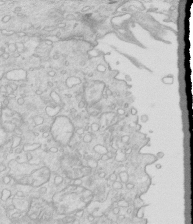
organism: Mouse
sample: Multiciliated cells